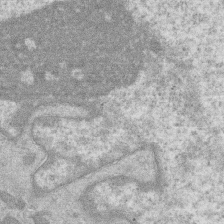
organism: Human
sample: Macrophage cells